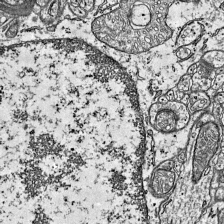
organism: Mouse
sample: Visual Cortex